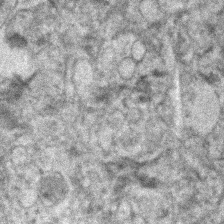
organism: Human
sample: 1205lu cells